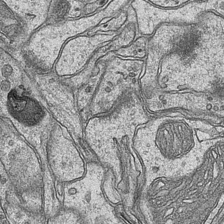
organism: Mouse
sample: CA1 Hippocampus